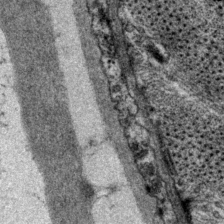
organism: P. pacificus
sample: Pharynx